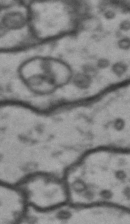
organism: Drosophila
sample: Brain